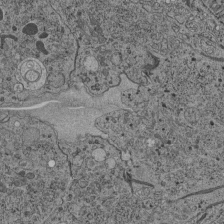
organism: C. elegans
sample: C. elegans pharynx